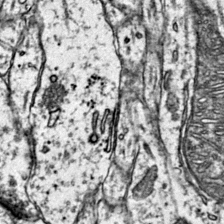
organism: Mouse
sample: Primary visual cortex